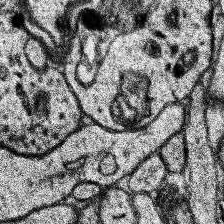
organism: Human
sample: Temporal Lobe